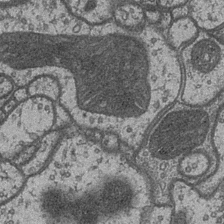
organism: Drosophila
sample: Optic medulla